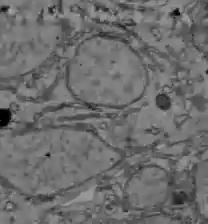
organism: C57BL Mouse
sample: Liver